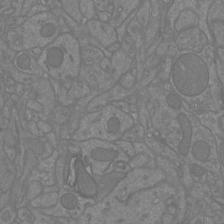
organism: Mouse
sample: Cortical neurons